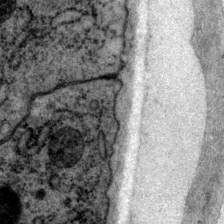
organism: P. pacificus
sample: Pharynx